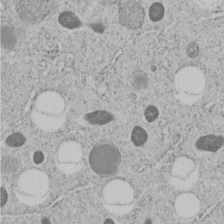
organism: C. elegans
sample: C. elegans embryo early stage